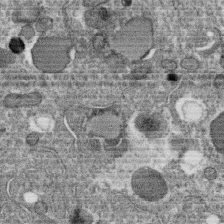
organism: C. elegans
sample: C. elegans oocyte; sperm cells